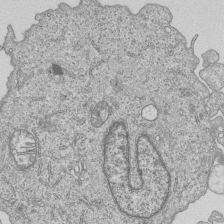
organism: Human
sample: MDA-MB-231 cells